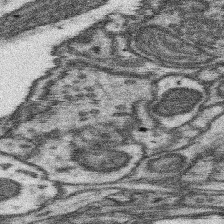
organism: Mouse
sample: Somatosensory cortex neuropil